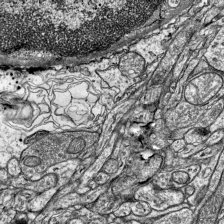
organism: Mouse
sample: Visual Cortex